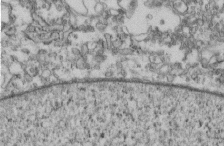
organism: Mouse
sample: Cilia; retinal pigment epithelium